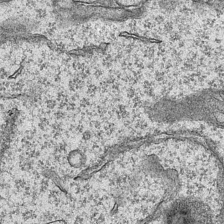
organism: Mouse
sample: CA1 Hippocampus